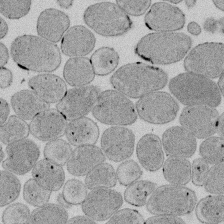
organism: E. coli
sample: Bacterial nucleoid